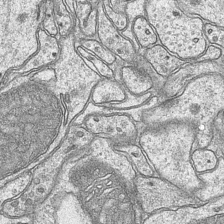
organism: Mouse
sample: CA1 Hippocampus